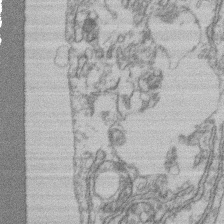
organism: Mouse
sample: T cell stromal cell synapse